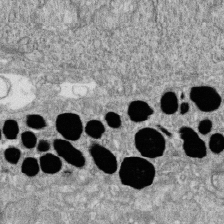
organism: Zebrafish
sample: Cilia; retinal pigment epithelium